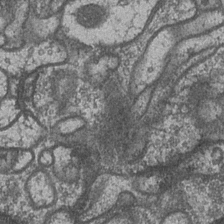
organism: Drosophila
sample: Optic medulla